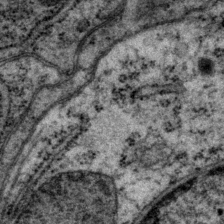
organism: P. pacificus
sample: Pharynx